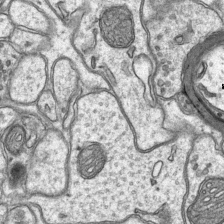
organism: Mouse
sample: CA1 Hippocampus